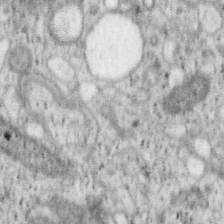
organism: Mouse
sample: OT-I killer T cells with ID8 ovarian cancer cells